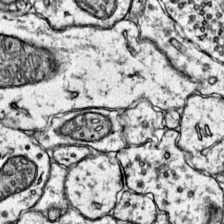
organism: Mouse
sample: Primary visual cortex